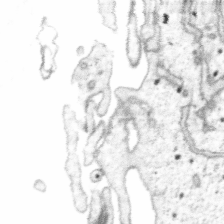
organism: Human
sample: HeLa cells